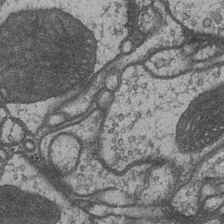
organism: Drosophila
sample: Optic medulla